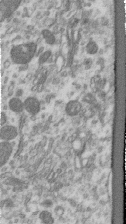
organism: Human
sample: Centriole in RPE cells